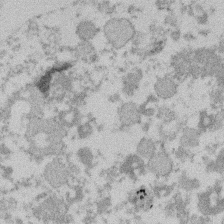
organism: Mouse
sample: Dividing mouse embryo 1 cell stage